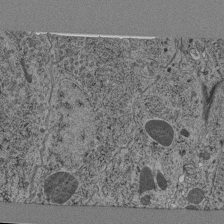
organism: C. elegans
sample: C. elegans pharynx